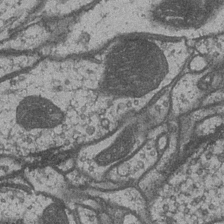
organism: Drosophila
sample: Optic medulla